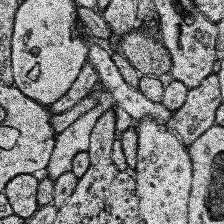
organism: Human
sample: Temporal Lobe